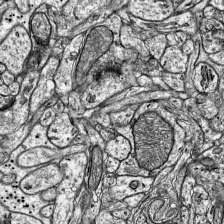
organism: Mouse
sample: Visual Cortex